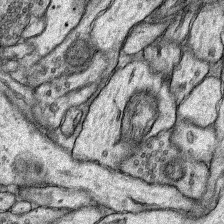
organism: Rat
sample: Hippocampus